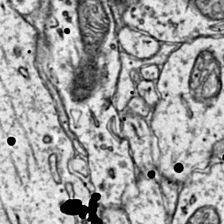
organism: Mouse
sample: Primary visual cortex